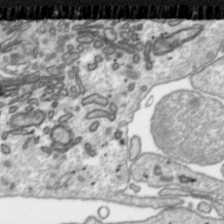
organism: Toxoplasma gondii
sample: Parasites in a vacuole inside a host cell